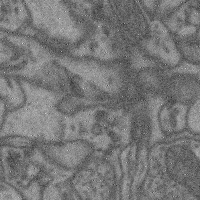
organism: Mouse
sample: Cerebral cortex